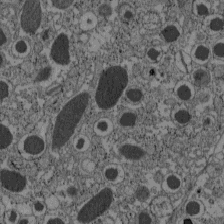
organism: C57BL Mouse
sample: Pancreatic islet